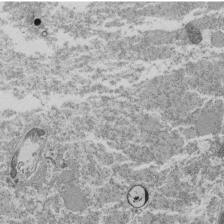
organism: Tetrahymena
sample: Cilia in tetrahymena